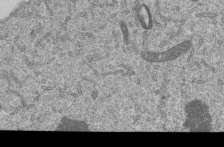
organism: Human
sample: MDA-MB-231 cells